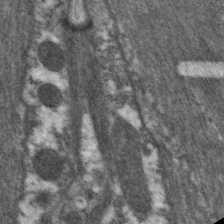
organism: C. elegans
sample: Pharynx